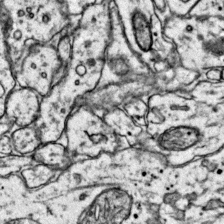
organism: Mouse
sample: Primary visual cortex